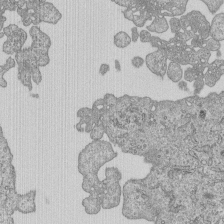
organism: Human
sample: MDA-MB-231 cells